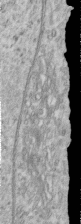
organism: Human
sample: Centriole in RPE cells